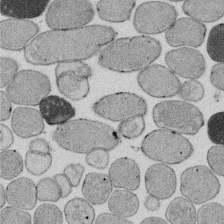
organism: E. coli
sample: Bacterial nucleoid